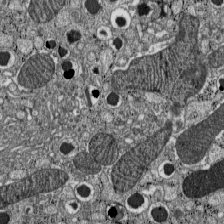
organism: C57BL Mouse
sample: Pancreatic islet